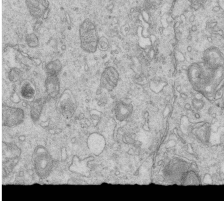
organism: Mouse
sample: Multiciliated cells